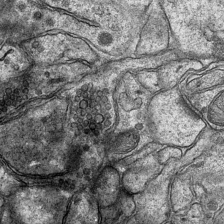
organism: Mouse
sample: CA1 Hippocampus